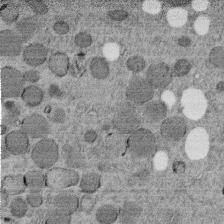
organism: C. elegans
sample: C. elegans embryo early stage